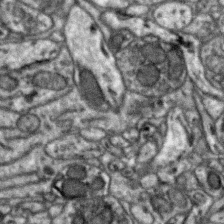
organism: Zebra finch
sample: Brain